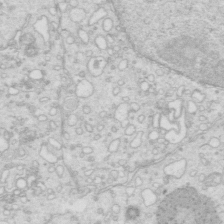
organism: Mouse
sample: Multiciliated cells